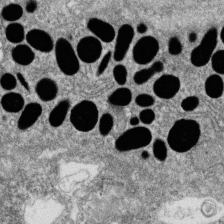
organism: Zebrafish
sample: Cilia; retinal pigment epithelium